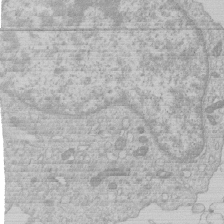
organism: Human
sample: Macrophage cells